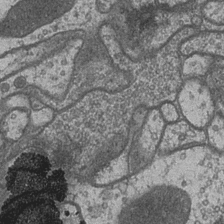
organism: Drosophila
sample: Optic medulla